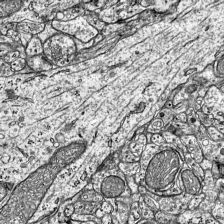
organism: Mouse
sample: Visual Cortex